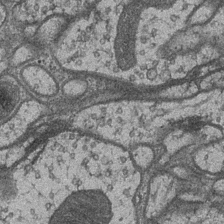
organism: Drosophila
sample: Optic medulla